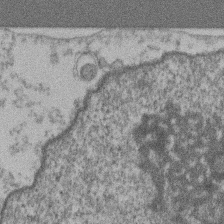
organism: Mouse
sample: T cell stromal cell synapse